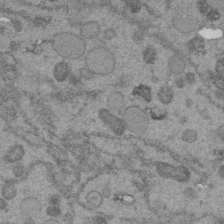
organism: C. elegans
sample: C. elegans embryo early stage